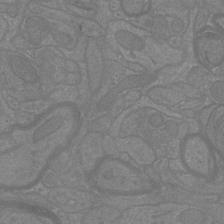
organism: Mouse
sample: Cortical neurons